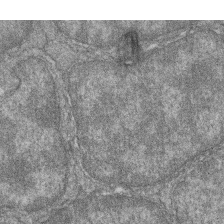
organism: Zebrafish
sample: Cilia; retinal pigment epithelium